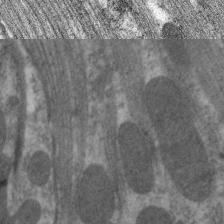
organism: C. elegans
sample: Pharynx